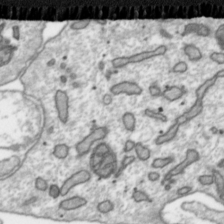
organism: Toxoplasma gondii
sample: Parasites in a vacuole inside a host cell